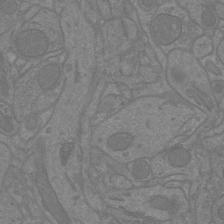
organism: Mouse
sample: Cortical neurons